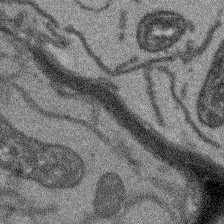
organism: Arabidopsis thaliana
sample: Root tip